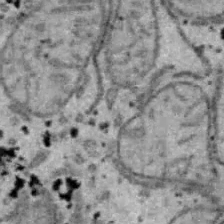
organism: Mouse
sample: Liver from an obese (ob/ob) mouse